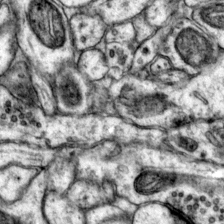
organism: Mouse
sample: Primary visual cortex